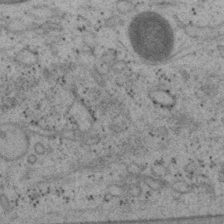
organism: Human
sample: HeLa cells